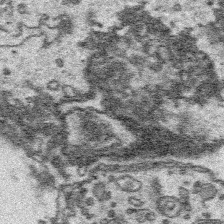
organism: Platynereis dumerilii